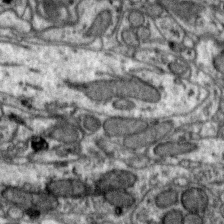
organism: Zebra finch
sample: Brain